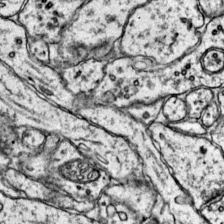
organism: Mouse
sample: Primary visual cortex